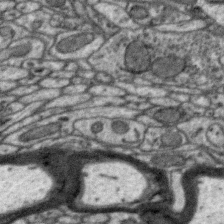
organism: Zebra finch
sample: Brain